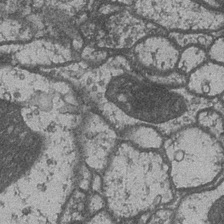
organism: Drosophila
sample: Optic medulla